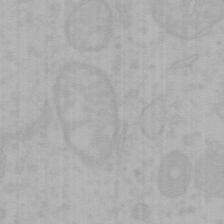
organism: Mouse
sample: Choroid plexus